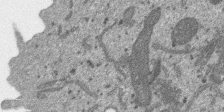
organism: Human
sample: Lung epithelial cells infected with SARS-CoV-2